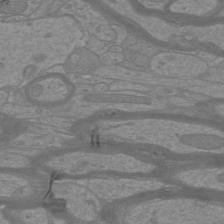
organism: Mouse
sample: Cortical neurons